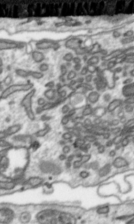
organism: Toxoplasma gondii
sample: Parasites in a vacuole inside a host cell